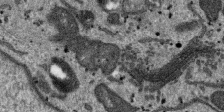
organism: Human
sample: Lung epithelial cells, uninfected (mock) control